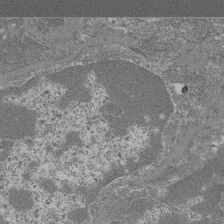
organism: Mouse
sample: Glomerulus